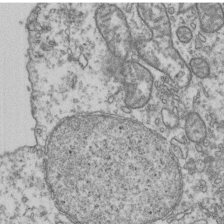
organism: Human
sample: Activated Jurkat CD4+ T cells